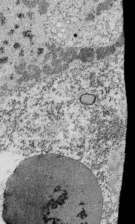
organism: Tetrahymena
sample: Cilia in tetrahymena